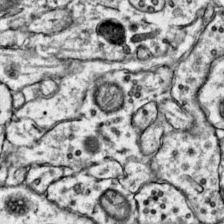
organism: Mouse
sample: Primary visual cortex